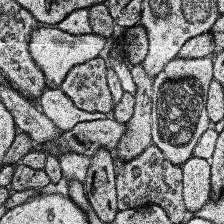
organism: Human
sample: Temporal Lobe